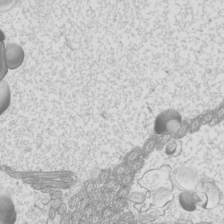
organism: Mouse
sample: Cilia; mouse epididymis